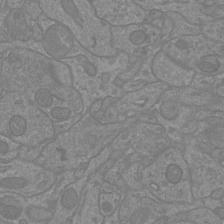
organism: Mouse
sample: Cortical neurons